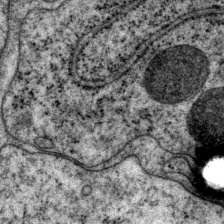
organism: P. pacificus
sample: Pharynx